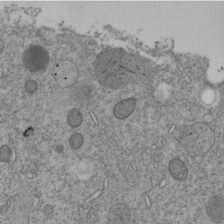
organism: C. elegans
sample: C. elegans embryo early stage